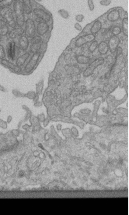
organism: Human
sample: Retinal organoid Rod and Cone cells